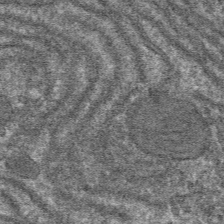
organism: Mouse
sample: Mouse hepatocytes